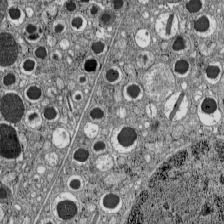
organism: C57BL Mouse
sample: Pancreatic islet